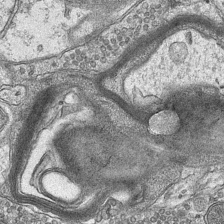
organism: Mouse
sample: CA1 Hippocampus